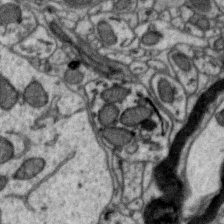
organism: Zebra finch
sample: Brain